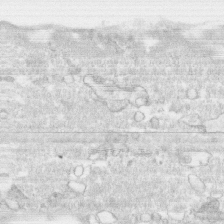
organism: Human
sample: CRL-1474